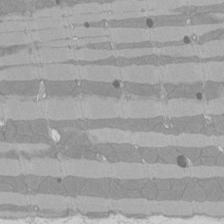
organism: Rat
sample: Left ventricle